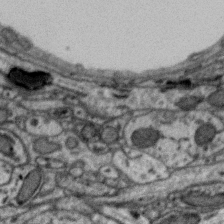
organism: Zebra finch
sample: Brain